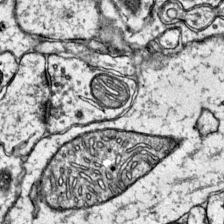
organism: Mouse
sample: Primary visual cortex